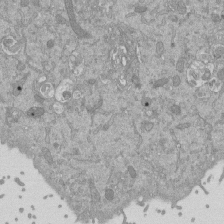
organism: Mouse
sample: ED-1 cell nuclei; centrioles